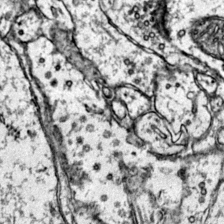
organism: Mouse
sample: Primary visual cortex